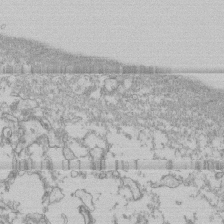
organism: Human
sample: CRL-1474